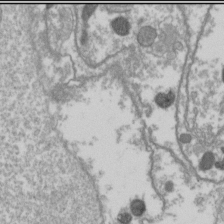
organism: Drosophila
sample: Cell division; meiosis; drosophila spermatocytes